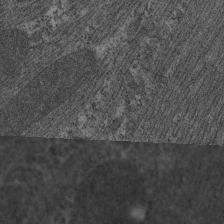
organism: C. elegans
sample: Pharynx